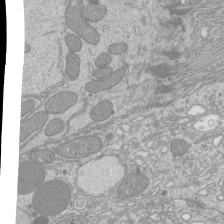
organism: Mouse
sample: Cilia; mouse epididymis